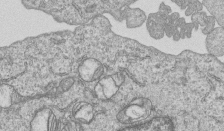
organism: Human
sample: MDA-MB-231 cells